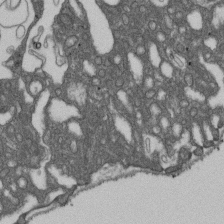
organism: Drosophila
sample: Nephrocyte